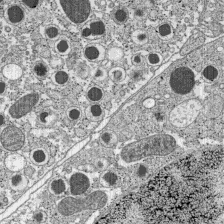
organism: C57BL Mouse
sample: Pancreatic islet